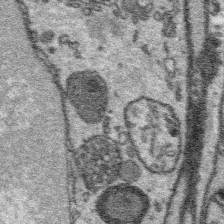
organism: Platynereis dumerilii